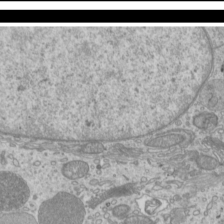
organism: Mouse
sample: Cilia; mouse epididymis